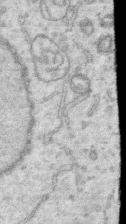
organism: Human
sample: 1205lu cells